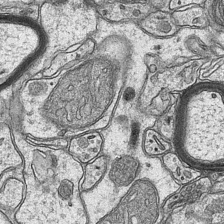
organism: Mouse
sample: CA1 Hippocampus